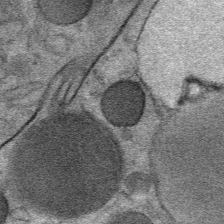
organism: Mouse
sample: Mouse Salivary gland